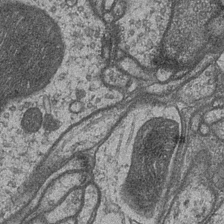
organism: Drosophila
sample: Optic medulla